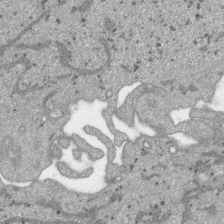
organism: Human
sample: Lung epithelial cells infected with SARS-CoV-2